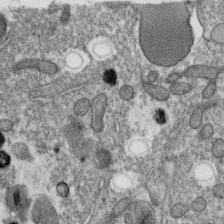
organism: C. elegans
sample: C. elegans oocyte; sperm cells